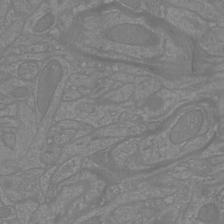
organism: Mouse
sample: Cortical neurons